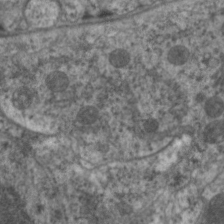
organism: C. elegans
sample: Pharynx